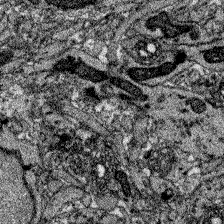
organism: Zebrafish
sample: Larval olfactory bulb